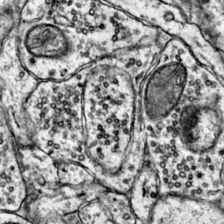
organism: Mouse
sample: Primary visual cortex